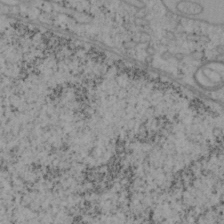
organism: Human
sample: HeLa cells